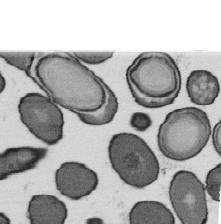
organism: B. subtilis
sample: Bacterial spore